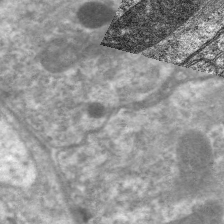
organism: C. elegans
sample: Pharynx